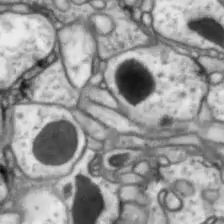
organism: Drosophila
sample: Optic lobe